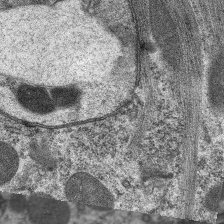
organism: C. elegans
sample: Pharynx